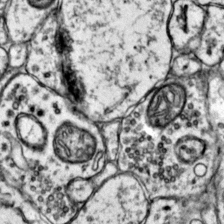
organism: Mouse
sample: Primary visual cortex